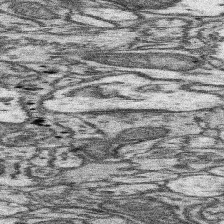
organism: Mouse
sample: Somatosensory cortex neuropil